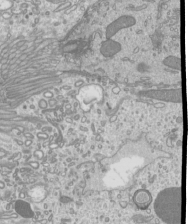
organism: Mouse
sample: Cilia; mouse epididymis